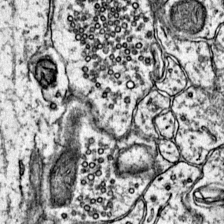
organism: Mouse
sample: Primary visual cortex